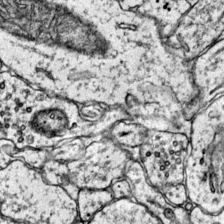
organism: Mouse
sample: Primary visual cortex